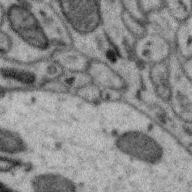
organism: Zebra finch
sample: Brain